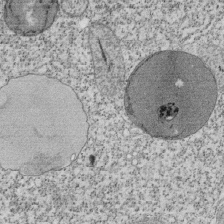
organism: Tetrahymena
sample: Cilia in tetrahymena